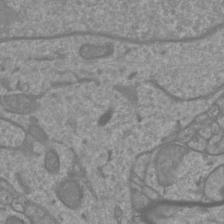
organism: Mouse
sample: Cortical neurons